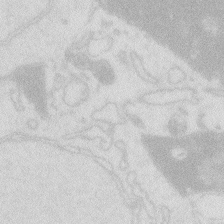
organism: Zebrafish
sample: Macrophage